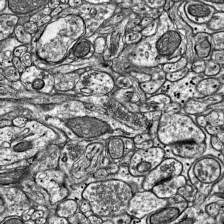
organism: Mouse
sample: Visual Cortex